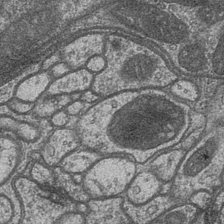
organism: Drosophila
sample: Optic medulla